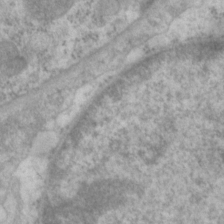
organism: P. pacificus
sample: Pharynx